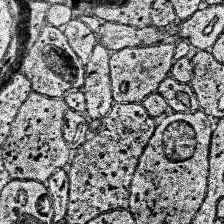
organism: Human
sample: Temporal Lobe